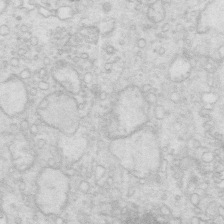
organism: Mouse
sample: Multiciliated cells